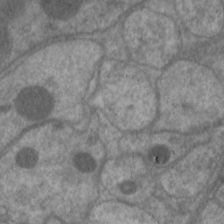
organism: C. elegans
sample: Pharynx